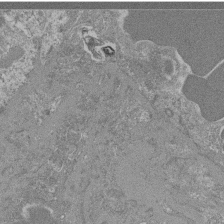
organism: Mouse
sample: Glomerulus